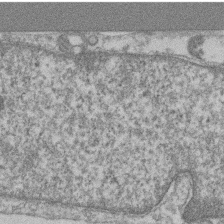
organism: Mouse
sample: T cell stromal cell synapse